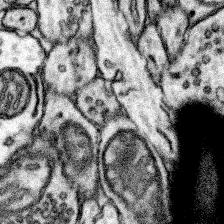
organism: Mouse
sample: Somatosensory cortex neuropil